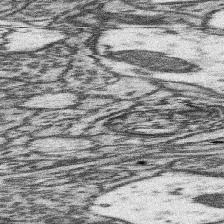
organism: Mouse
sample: Somatosensory cortex neuropil